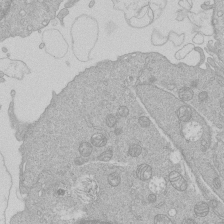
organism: Human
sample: Macrophage cells